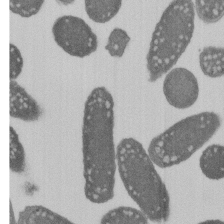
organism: E. coli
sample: Bacterial nucleoid